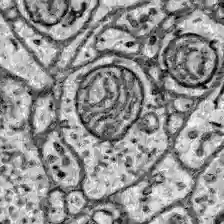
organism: Zebrafish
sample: Brain